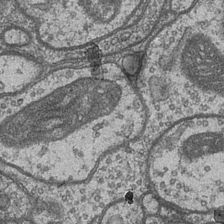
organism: Drosophila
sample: Optic medulla